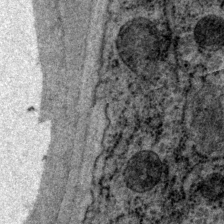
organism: P. pacificus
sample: Pharynx